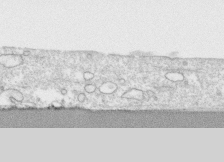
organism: Human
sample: CRL-1474